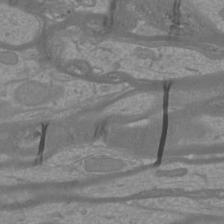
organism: Mouse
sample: Cortical neurons